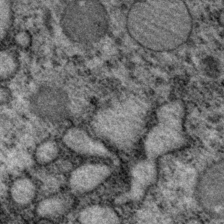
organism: P. pacificus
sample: Pharynx